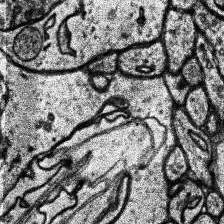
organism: Human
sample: Temporal Lobe